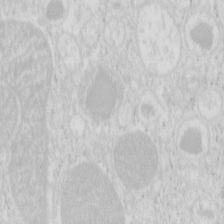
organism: Mouse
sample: Pancreas